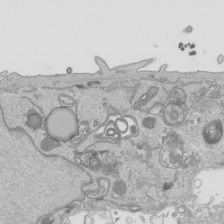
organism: Human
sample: Mitochondria in HCT116 cells